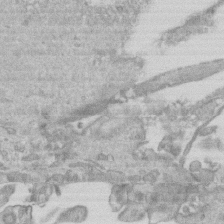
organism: Mouse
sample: Centriole in ependymal cells